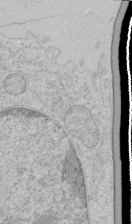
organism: Human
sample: Mitochondria in HCT116 cells